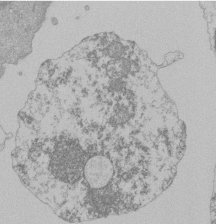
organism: Mouse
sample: Activated Pmel transgenic CD8+ T Cells